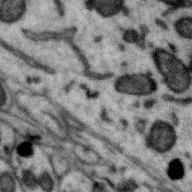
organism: Zebra finch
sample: Brain